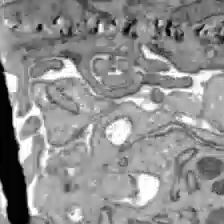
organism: C57BL Mouse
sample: Liver